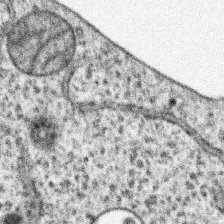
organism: Human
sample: HeLa cells